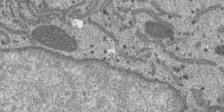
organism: Human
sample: Lung epithelial cells infected with SARS-CoV-2